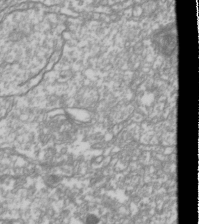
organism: Drosophila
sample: Cell division; meiosis; drosophila spermatocytes